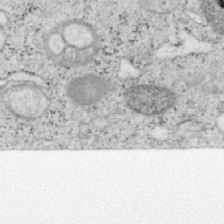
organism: Mouse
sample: OT-I killer T cells with ID8 ovarian cancer cells